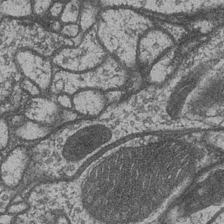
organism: Drosophila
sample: Optic medulla